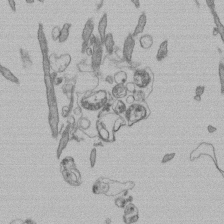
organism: Human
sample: Retinal organoid Rod and Cone cells